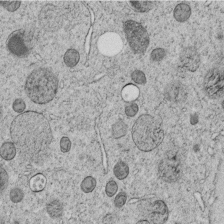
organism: C. elegans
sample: C. elegans embryo early stage